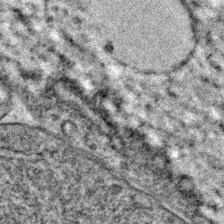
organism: C. elegans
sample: C. elegans embryo